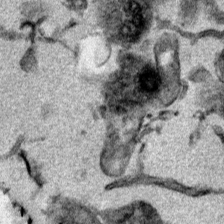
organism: Mouse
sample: Cancer cell death in ED-1 cells